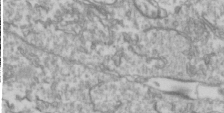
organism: Drosophila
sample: Cell division; meiosis; drosophila spermatocytes